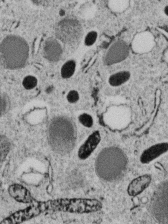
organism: C. elegans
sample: C. elegans embryo early stage